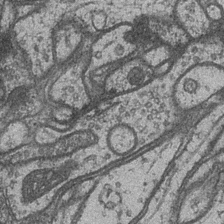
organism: Drosophila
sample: Optic medulla